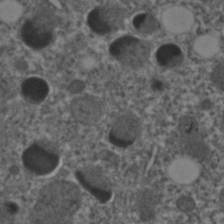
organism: C. elegans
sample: C. elegans embryo